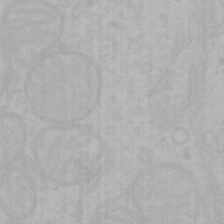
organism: Mouse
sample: Choroid plexus